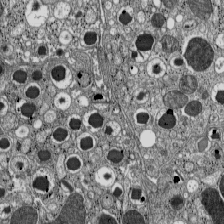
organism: C57BL Mouse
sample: Pancreatic islet